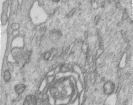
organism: Human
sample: Centriole in RPE cells